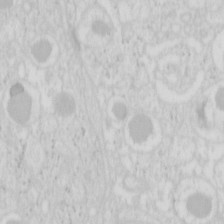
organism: Mouse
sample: Pancreas